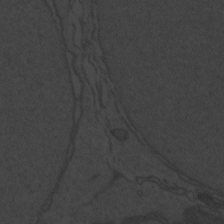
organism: Zebrafish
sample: Macrophage infected with Toxoplasma gondii